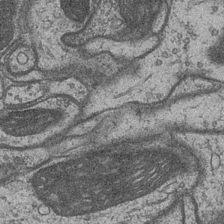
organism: Drosophila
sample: Optic medulla